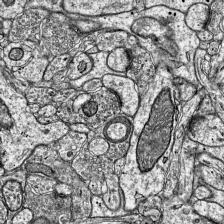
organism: Mouse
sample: Visual Cortex